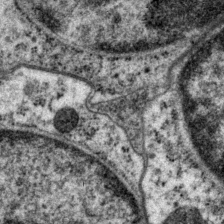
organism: P. pacificus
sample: Pharynx